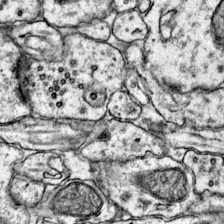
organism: Mouse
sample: Primary visual cortex